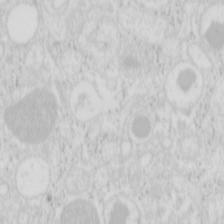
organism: Mouse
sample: Pancreas